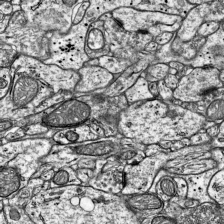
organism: Mouse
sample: Visual Cortex